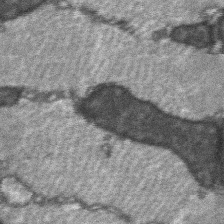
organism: C57BL Mouse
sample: Soleus